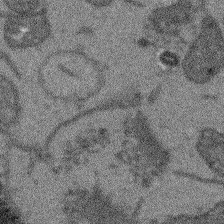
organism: Arabidopsis thaliana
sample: Root tip